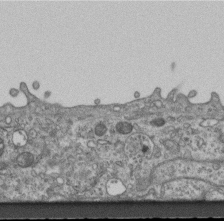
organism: Mouse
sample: Centriole in ependymal cells